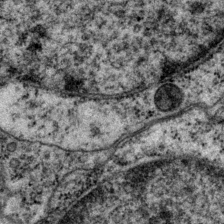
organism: P. pacificus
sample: Pharynx